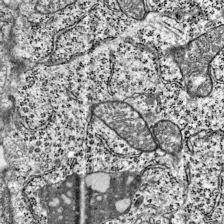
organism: Mouse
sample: Visual Cortex